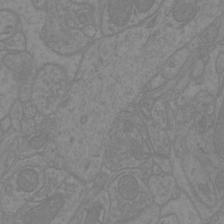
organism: Mouse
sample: Cortical neurons